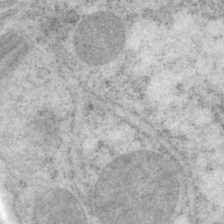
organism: P. pacificus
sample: Pharynx